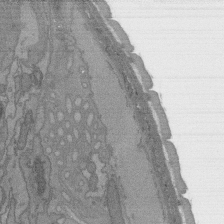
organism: C. elegans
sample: AFD neurons C. elegans